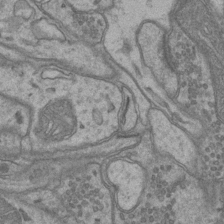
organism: Mouse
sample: CA1 Hippocampus